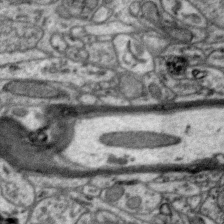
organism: Zebra finch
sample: Brain